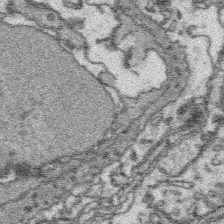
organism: Platynereis dumerilii